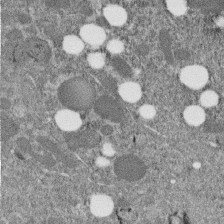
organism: C. elegans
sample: C. elegans embryo early stage